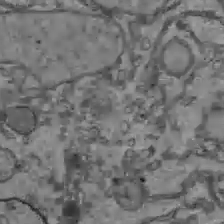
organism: C57BL Mouse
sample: Liver